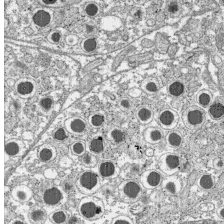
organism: C57BL Mouse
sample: Pancreatic islet